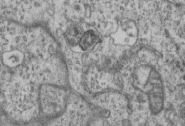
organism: Mouse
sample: Centriole in ependymal cells